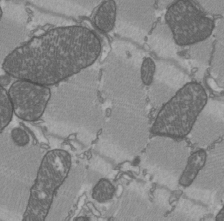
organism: C57BL Mouse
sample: Heart